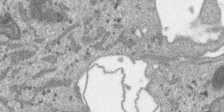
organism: Human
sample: Lung epithelial cells infected with SARS-CoV-2